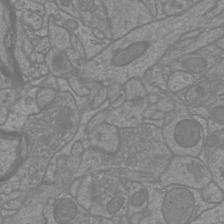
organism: Mouse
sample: Cortical neurons